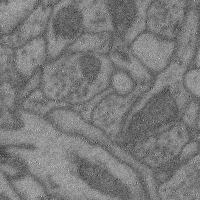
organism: Mouse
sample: Cerebral cortex